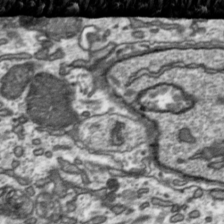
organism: Toxoplasma gondii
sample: Parasites in a vacuole inside a host cell